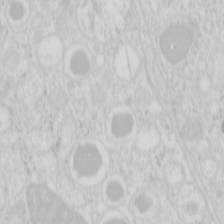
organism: Mouse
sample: Pancreas